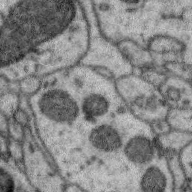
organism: Zebra finch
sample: Brain